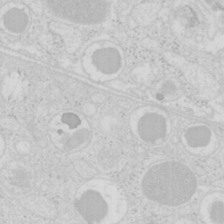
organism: Mouse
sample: Pancreas